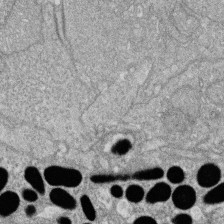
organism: Zebrafish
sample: Cilia; retinal pigment epithelium